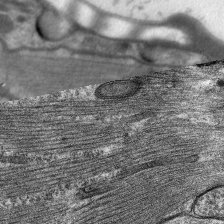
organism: C. elegans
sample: Pharynx